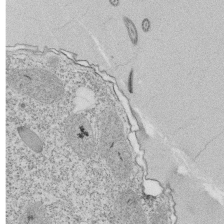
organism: Tetrahymena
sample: Cilia in tetrahymena